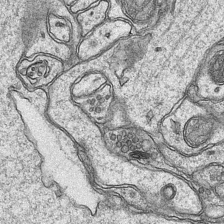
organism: Mouse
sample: CA1 Hippocampus